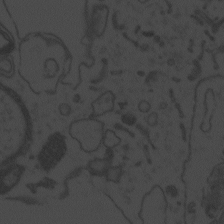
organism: Zebrafish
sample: Macrophage infected with Toxoplasma gondii